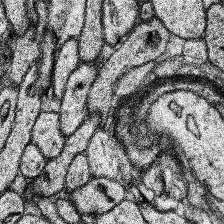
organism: Human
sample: Temporal Lobe